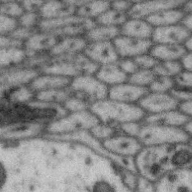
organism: Zebra finch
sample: Brain